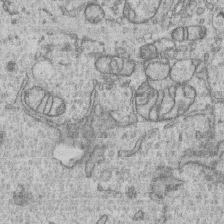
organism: Human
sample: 1205lu cells